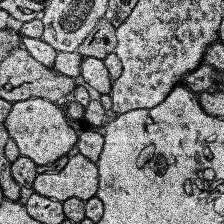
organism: Human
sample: Temporal Lobe